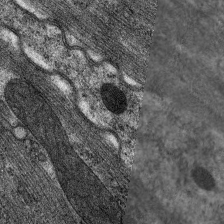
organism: C. elegans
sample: Pharynx